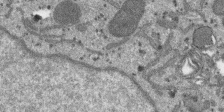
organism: Human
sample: Lung epithelial cells infected with SARS-CoV-2